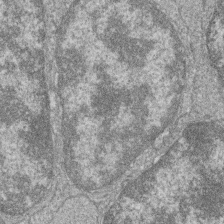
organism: Zebrafish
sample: Cilia; retinal pigment epithelium